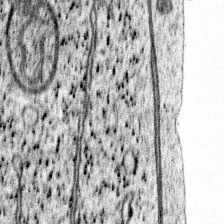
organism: Human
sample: HeLa cells